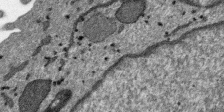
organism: Human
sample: Lung epithelial cells, uninfected (mock) control